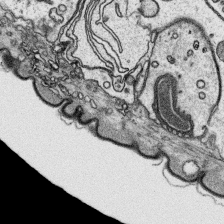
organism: Platynereis dumerilii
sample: Parapodia